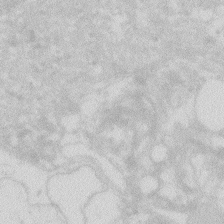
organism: Zebrafish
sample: Macrophage